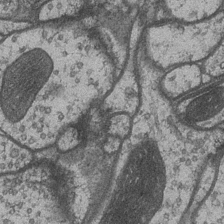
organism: Drosophila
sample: Optic medulla